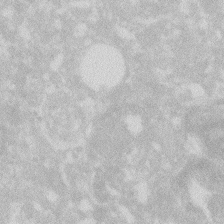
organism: Zebrafish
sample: Macrophage